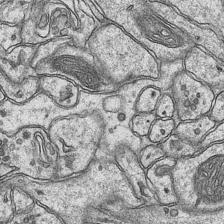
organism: Mouse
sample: CA1 Hippocampus